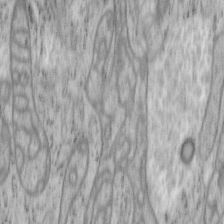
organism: Human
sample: HeLa cells